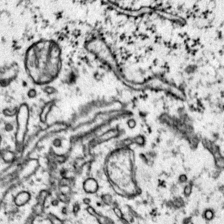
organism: Mouse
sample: Primary visual cortex